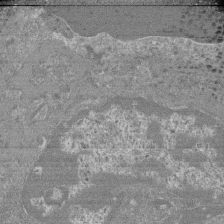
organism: Mouse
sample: Glomerulus